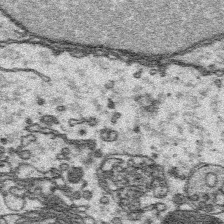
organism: Platynereis dumerilii